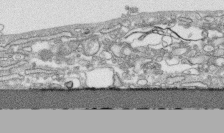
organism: Human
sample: CRL-1474